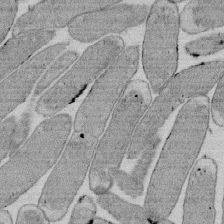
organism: E. coli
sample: Bacterial nucleoid